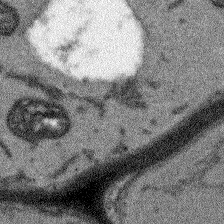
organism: Arabidopsis thaliana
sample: Root tip